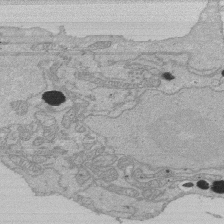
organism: Human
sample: Activated Jurkat CD4+ T cells